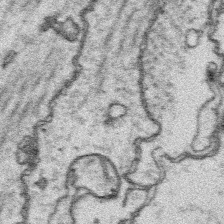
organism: Platynereis dumerilii